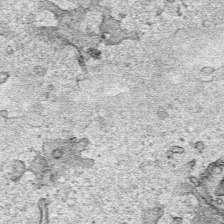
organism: Human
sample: Mitochondria in HCT116 cells